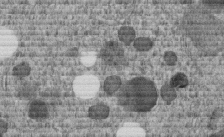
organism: C. elegans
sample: C. elegans embryo early stage